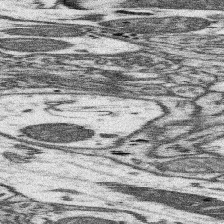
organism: Mouse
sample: Somatosensory cortex neuropil